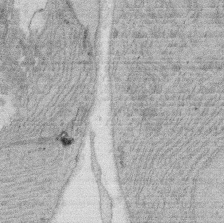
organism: Rat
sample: Salivary granule